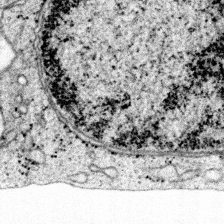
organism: Human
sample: HeLa cells